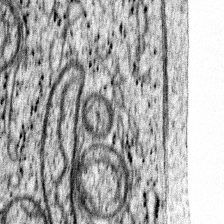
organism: Human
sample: HeLa cells